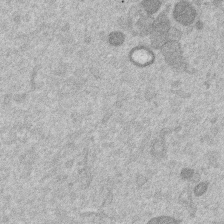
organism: Mouse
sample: Dividing mouse embryo 1 cell stage